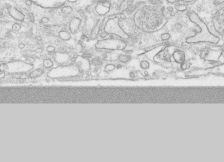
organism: Human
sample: CRL-1474